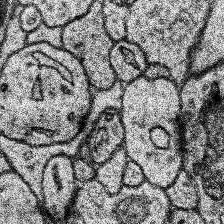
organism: Human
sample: Temporal Lobe